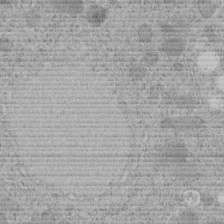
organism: C. elegans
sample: C. elegans embryo early stage